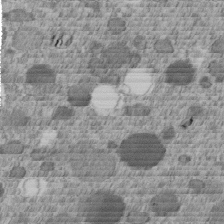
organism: C. elegans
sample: C. elegans embryo early stage